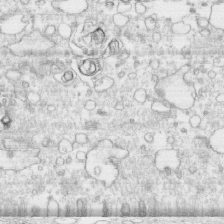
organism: Human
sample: CRL-1474